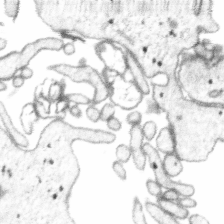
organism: Human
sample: HeLa cells